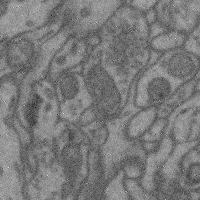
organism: Mouse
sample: Cerebral cortex